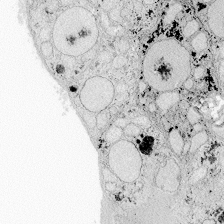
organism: Zebrafish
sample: Whole-Brain